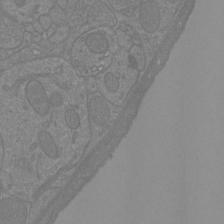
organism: Mouse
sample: Cortical neurons